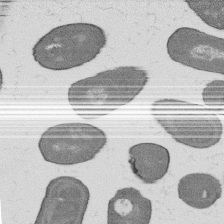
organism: B. subtilis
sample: Bacterial spore